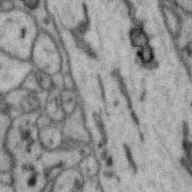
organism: Zebra finch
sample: Brain